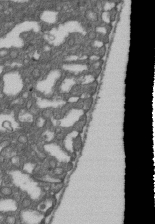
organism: Drosophila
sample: Nephrocyte